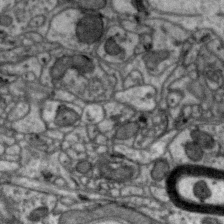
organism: Zebra finch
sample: Brain